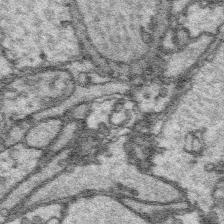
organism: Platynereis dumerilii